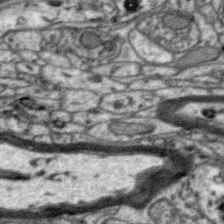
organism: Zebra finch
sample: Brain